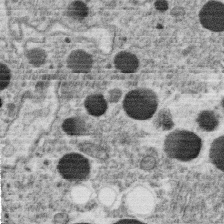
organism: C. elegans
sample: C. elegans oocyte; sperm cells